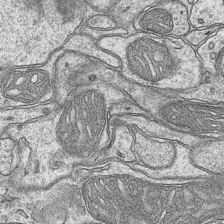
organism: Mouse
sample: CA1 Hippocampus